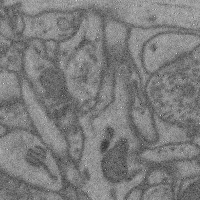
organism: Mouse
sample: Cerebral cortex